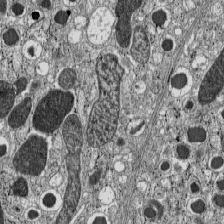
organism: C57BL Mouse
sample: Pancreatic islet